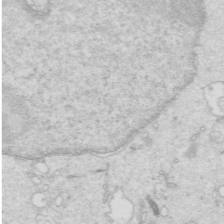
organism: Mouse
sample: Multiciliated cells